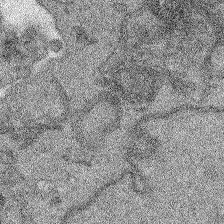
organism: Human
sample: HeLa cells